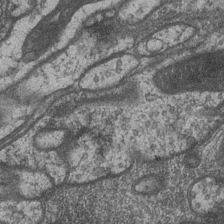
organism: Drosophila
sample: Optic medulla